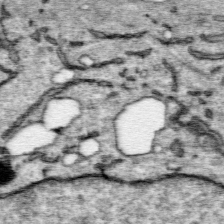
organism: Human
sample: HeLa cells